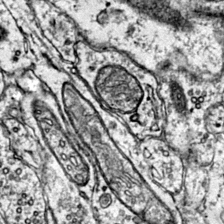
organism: Mouse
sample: Primary visual cortex